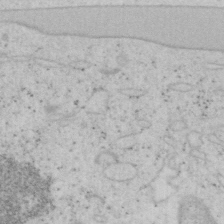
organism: Human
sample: HeLa cells